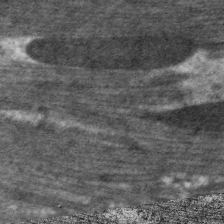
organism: C. elegans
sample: Pharynx